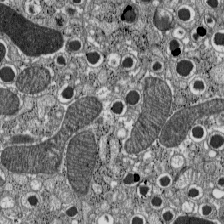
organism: C57BL Mouse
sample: Pancreatic islet